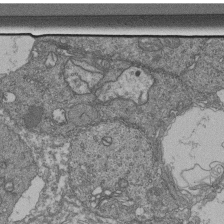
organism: Human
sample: Retinal organoid Rod and Cone cells